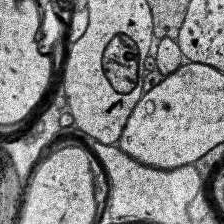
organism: Human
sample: Temporal Lobe